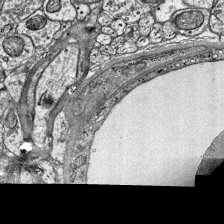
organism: Mouse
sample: Visual Cortex